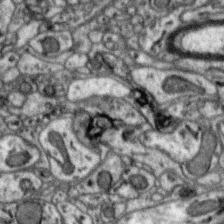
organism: Zebra finch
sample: Brain